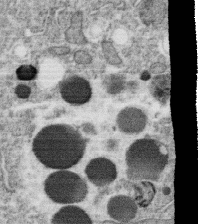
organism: C. elegans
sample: C. elegans oocyte; sperm cells